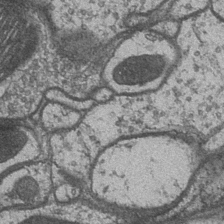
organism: Drosophila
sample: Optic medulla